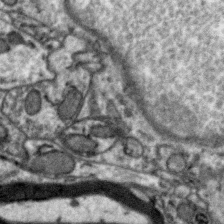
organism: Zebra finch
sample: Brain